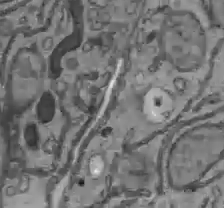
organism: C57BL Mouse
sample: Liver